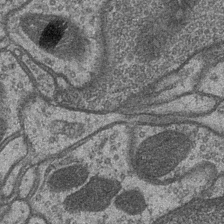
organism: Drosophila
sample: Optic medulla